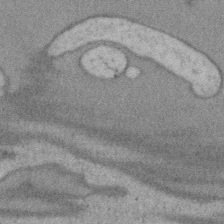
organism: Human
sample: HeLa cells